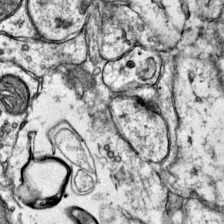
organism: Mouse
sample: Primary visual cortex